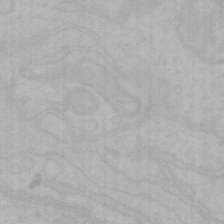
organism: Mouse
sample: Choroid plexus